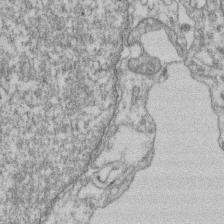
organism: Mouse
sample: T cell stromal cell synapse